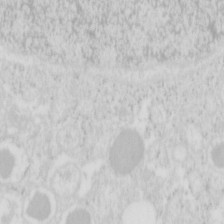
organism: Mouse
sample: Pancreas